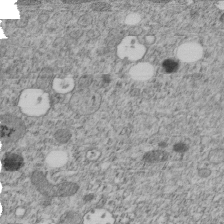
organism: C. elegans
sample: C. elegans embryo early stage